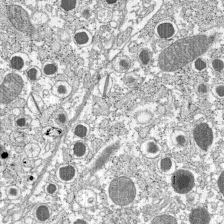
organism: C57BL Mouse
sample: Pancreatic islet